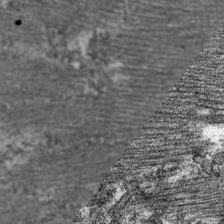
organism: C. elegans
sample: Pharynx